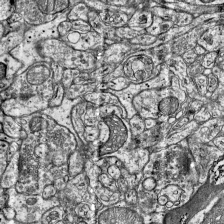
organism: Mouse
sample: Visual Cortex